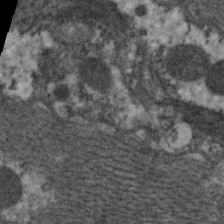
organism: C. elegans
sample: Pharynx